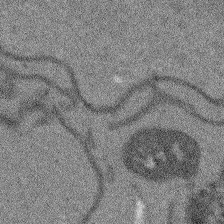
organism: Arabidopsis thaliana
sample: Root tip